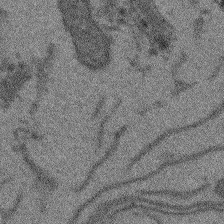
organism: Arabidopsis thaliana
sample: Root tip